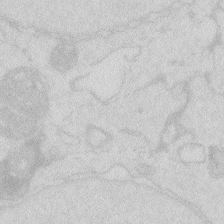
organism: Zebrafish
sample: Macrophage